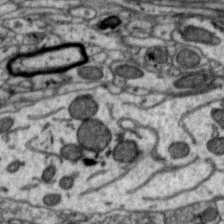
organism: Zebra finch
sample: Brain